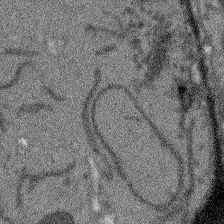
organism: Arabidopsis thaliana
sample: Root tip